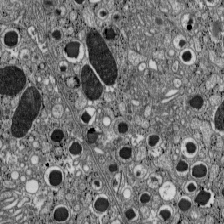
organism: C57BL Mouse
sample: Pancreatic islet